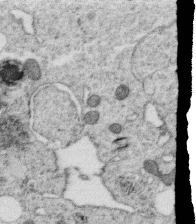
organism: C. elegans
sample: C. elegans oocyte; sperm cells